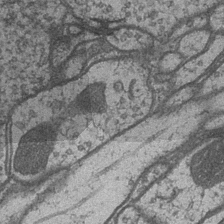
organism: Drosophila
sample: Optic medulla